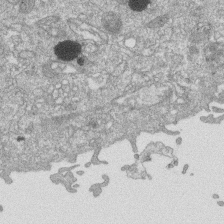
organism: Human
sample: HeLa cell HIV synapse